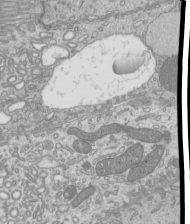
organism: Mouse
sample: Cilia; mouse epididymis